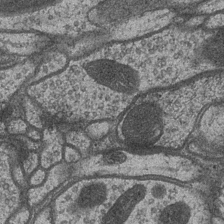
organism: Drosophila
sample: Optic medulla